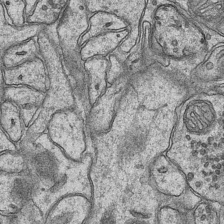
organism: Mouse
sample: CA1 Hippocampus